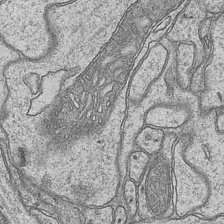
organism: Mouse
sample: CA1 Hippocampus